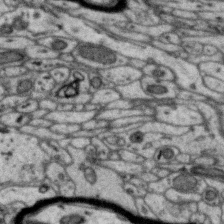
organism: Zebra finch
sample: Brain